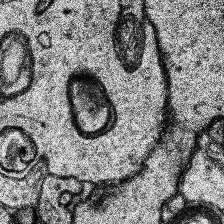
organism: Human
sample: Temporal Lobe